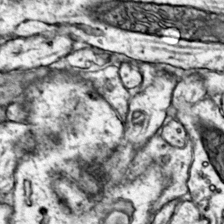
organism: Mouse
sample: Primary visual cortex